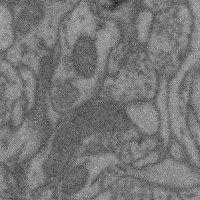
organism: Mouse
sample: Cerebral cortex